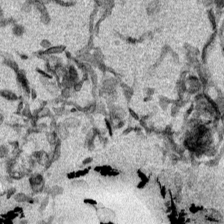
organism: Mouse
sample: Cancer cell death in ED-1 cells